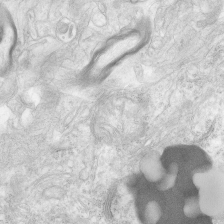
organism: Human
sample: Neocortex